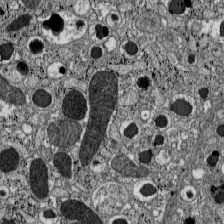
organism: C57BL Mouse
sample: Pancreatic islet